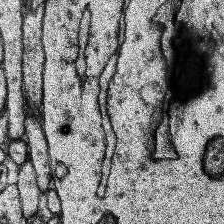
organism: Human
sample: Temporal Lobe